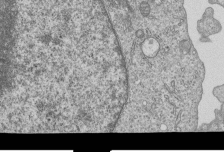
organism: Human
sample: MDA-MB-231 cells